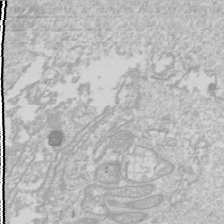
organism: Drosophila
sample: Cell division; meiosis; drosophila spermatocytes